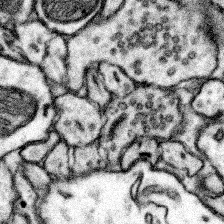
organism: Mouse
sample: Somatosensory cortex neuropil